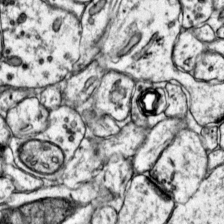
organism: Mouse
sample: Primary visual cortex